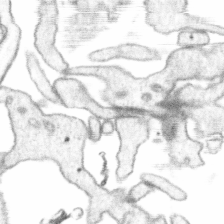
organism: Human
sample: HeLa cells